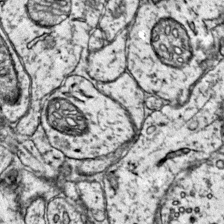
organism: Mouse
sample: Primary visual cortex